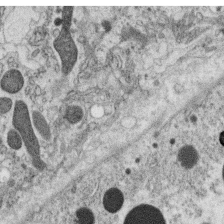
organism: C. elegans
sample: C. elegans oocyte; sperm cells